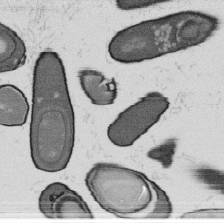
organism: B. subtilis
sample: Bacterial spore